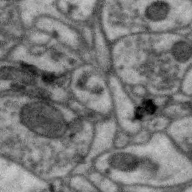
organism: Zebra finch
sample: Brain